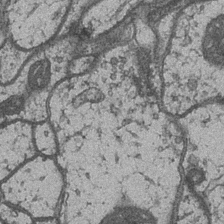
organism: Drosophila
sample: Optic medulla